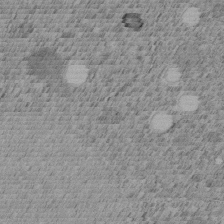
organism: C. elegans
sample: C. elegans embryo early stage